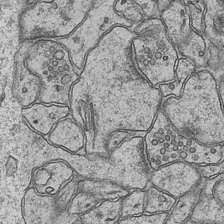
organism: Mouse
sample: CA1 Hippocampus